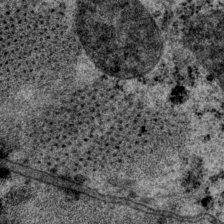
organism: P. pacificus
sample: Pharynx